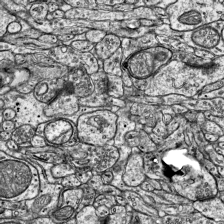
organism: Mouse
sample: Visual Cortex